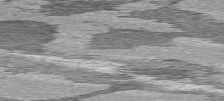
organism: C57BL Mouse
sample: Heart